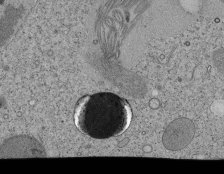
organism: Tetrahymena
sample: Cilia in tetrahymena